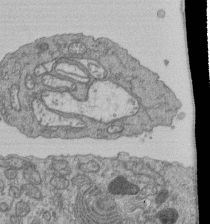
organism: Human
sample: Retinal organoid Rod and Cone cells